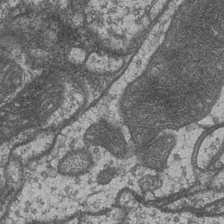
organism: Drosophila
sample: Optic medulla